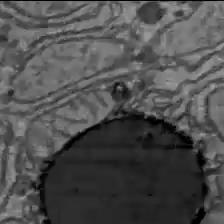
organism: C57BL Mouse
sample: Liver